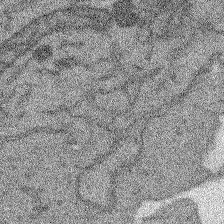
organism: Human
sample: HeLa cells